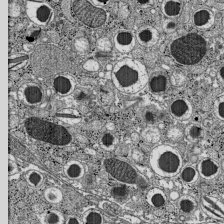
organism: C57BL Mouse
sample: Pancreatic islet